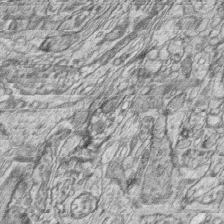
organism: Zebrafish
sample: synaptic ribbons in rod cells and cone cells